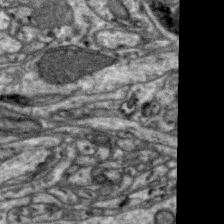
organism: Zebra finch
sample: Brain